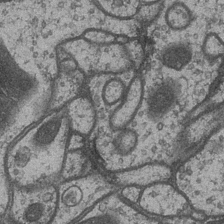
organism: Drosophila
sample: Optic medulla